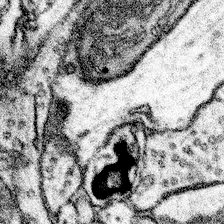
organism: Mouse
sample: Somatosensory cortex neuropil